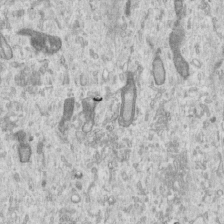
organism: Human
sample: Centriole in RPE cells